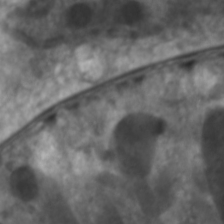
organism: C. elegans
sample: Pharynx